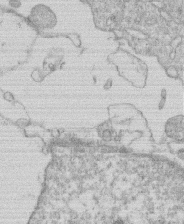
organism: Human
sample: Macrophage cells